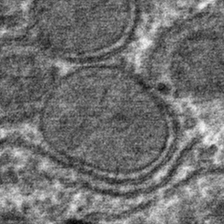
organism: Mouse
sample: Mouse hepatocytes